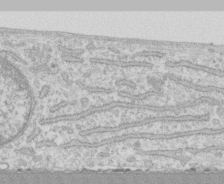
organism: Human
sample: CRL-1474